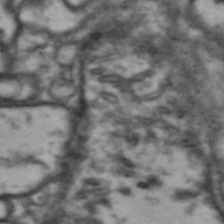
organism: Drosophila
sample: Brain